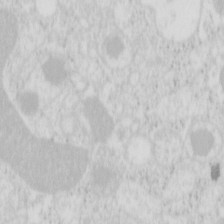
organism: Mouse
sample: Pancreas